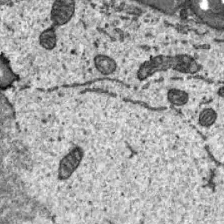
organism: Human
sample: HeLa cells